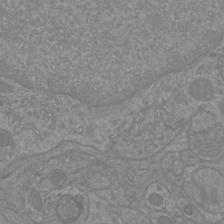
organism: Mouse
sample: Cortical neurons